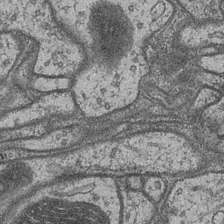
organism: Drosophila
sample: Optic medulla